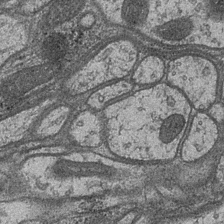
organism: Drosophila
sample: Optic medulla